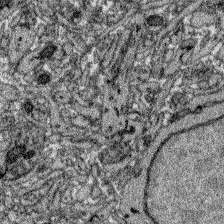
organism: Zebrafish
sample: Larval olfactory bulb